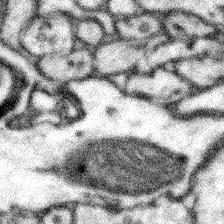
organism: Mouse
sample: Somatosensory cortex neuropil